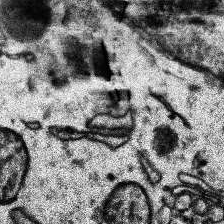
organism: Human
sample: Temporal Lobe